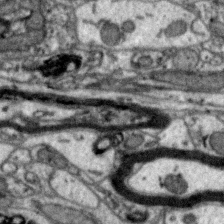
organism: Zebra finch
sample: Brain